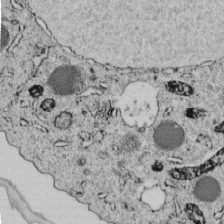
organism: C. elegans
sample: C. elegans embryo early stage